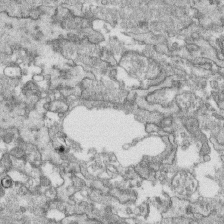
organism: Human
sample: CRL-1474